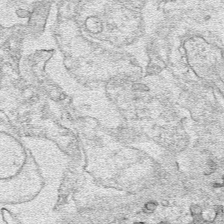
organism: Human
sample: Mitochondria in HCT116 cells